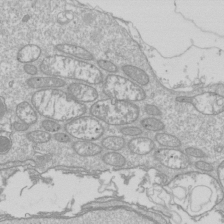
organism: Drosophila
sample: Cell division; meiosis; drosophila spermatocytes